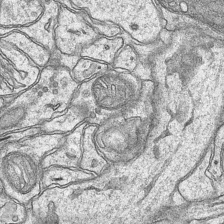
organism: Mouse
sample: CA1 Hippocampus